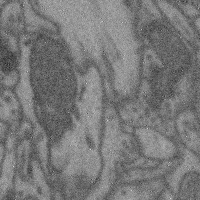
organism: Mouse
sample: Cerebral cortex